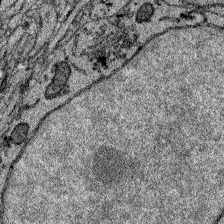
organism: Zebrafish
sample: Larval olfactory bulb